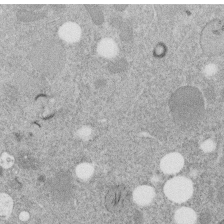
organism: C. elegans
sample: C. elegans embryo early stage